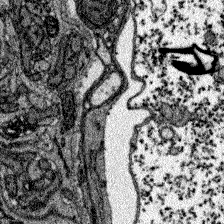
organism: Zebrafish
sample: Larval olfactory bulb